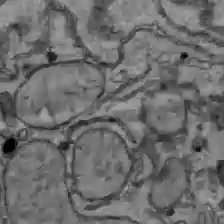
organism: C57BL Mouse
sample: Liver